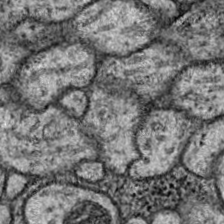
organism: Drosophila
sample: Ventral Nerve Cord